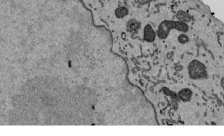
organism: Mouse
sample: ED-1 cell nuclei; centrioles